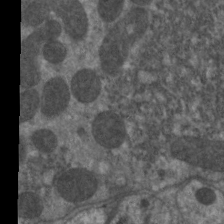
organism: C. elegans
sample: Pharynx